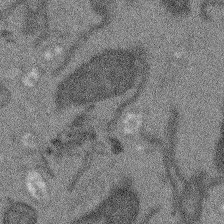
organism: Arabidopsis thaliana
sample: Root tip